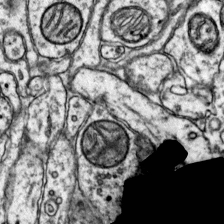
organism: Mouse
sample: Primary visual cortex